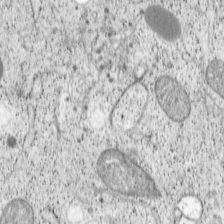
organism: African green monkey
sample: COS-7 cells